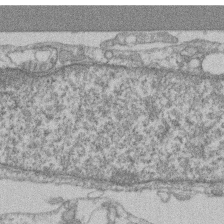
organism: Mouse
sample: T cell stromal cell synapse